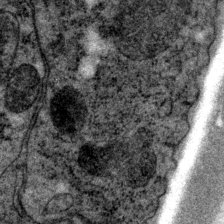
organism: P. pacificus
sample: Pharynx